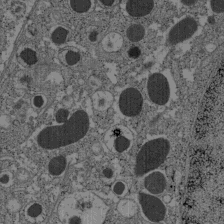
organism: C57BL Mouse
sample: Pancreatic islet